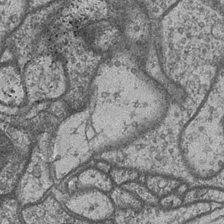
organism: Drosophila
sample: Optic medulla